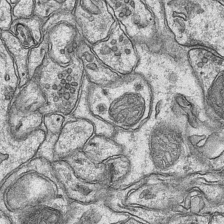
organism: Mouse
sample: CA1 Hippocampus